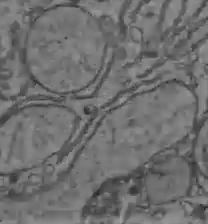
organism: C57BL Mouse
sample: Liver